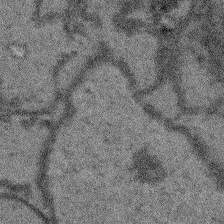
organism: Arabidopsis thaliana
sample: Root tip